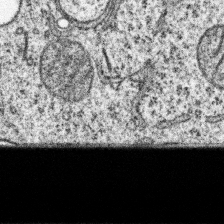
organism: Human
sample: HeLa cells